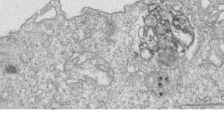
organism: Human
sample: HeLa cell HIV synapse